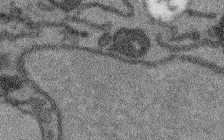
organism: Arabidopsis thaliana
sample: Root tip